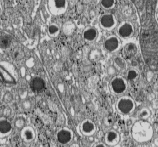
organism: C57BL Mouse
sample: Pancreatic islet